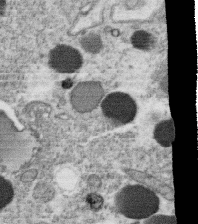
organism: C. elegans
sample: C. elegans oocyte; sperm cells